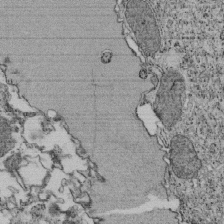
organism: Tetrahymena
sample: Cilia in tetrahymena